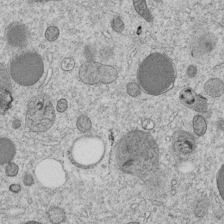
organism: C. elegans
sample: C. elegans embryo early stage